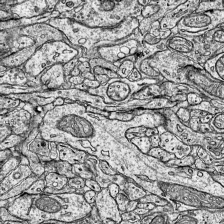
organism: Mouse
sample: Visual Cortex